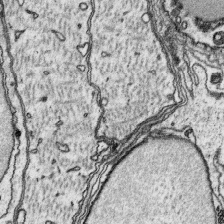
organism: Platynereis dumerilii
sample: Parapodia